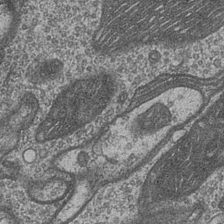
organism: Drosophila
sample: Optic medulla